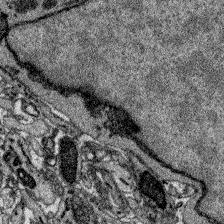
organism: Zebrafish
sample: Larval olfactory bulb